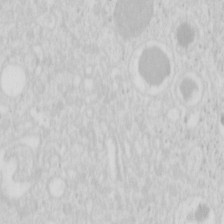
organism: Mouse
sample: Pancreas